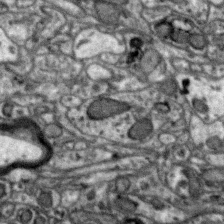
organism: Zebra finch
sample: Brain